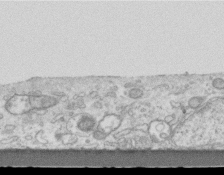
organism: Mouse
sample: Centriole in ependymal cells